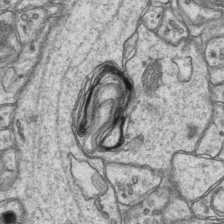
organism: Mouse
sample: CA1 Hippocampus